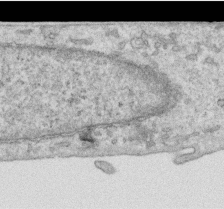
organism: Human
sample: Centriole in RPE cells